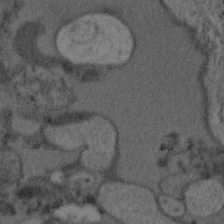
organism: Human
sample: HeLa cells